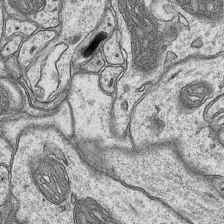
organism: Mouse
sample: CA1 Hippocampus